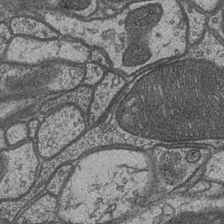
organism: Drosophila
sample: Optic medulla